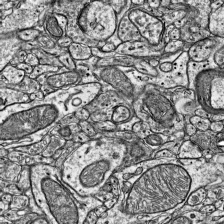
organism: Mouse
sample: Visual Cortex